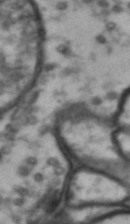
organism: Drosophila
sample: Brain